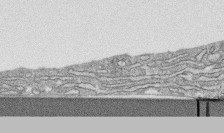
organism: Human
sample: CRL-1474